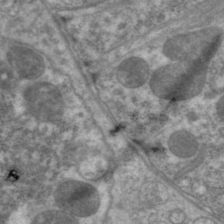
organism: C. elegans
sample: Pharynx